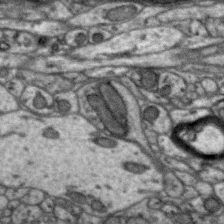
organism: Zebra finch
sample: Brain